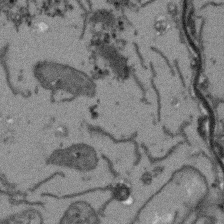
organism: Arabidopsis thaliana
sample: Root tip